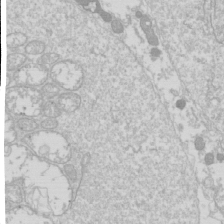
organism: Drosophila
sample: Cell division; meiosis; drosophila spermatocytes